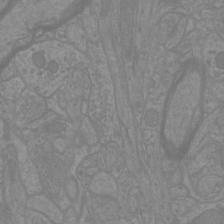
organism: Mouse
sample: Cortical neurons